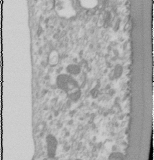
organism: Human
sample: Cilia; basal body in RPE cells